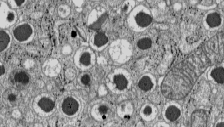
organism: C57BL Mouse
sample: Pancreatic islet